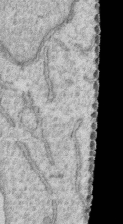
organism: Human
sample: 1205lu cells